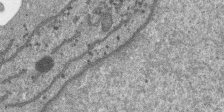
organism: Human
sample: Lung epithelial cells infected with SARS-CoV-2